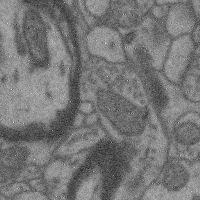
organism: Mouse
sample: Cerebral cortex